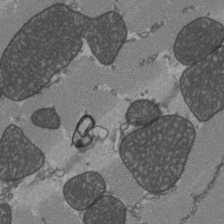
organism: C57BL Mouse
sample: Heart